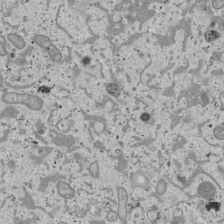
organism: Human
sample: Mitochondria in U2OS cells